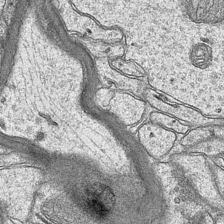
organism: Mouse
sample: CA1 Hippocampus